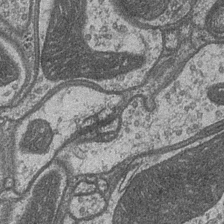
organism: Drosophila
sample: Optic medulla